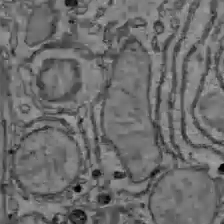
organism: C57BL Mouse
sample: Liver